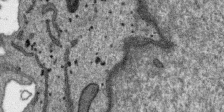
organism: Human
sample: Lung epithelial cells, uninfected (mock) control